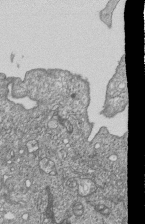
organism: Human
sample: MDA-MB-231 cells